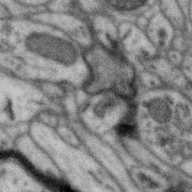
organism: Zebra finch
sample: Brain